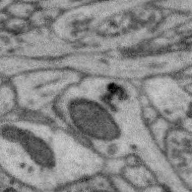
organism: Zebra finch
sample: Brain